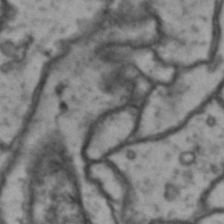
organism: Drosophila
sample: Brain